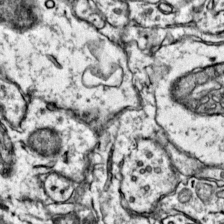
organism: Mouse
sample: Primary visual cortex